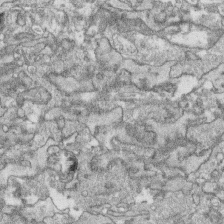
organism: Human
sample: CRL-1474